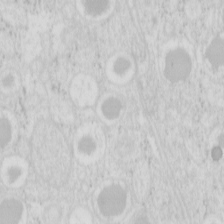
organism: Mouse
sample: Pancreas